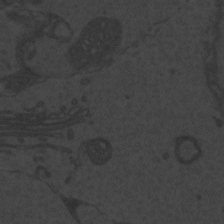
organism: Zebrafish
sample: Macrophage infected with Toxoplasma gondii